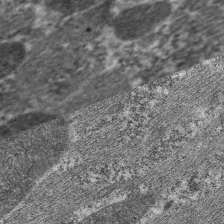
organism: C. elegans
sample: Pharynx